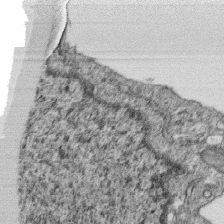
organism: African green monkey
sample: Vero E6 cells infected with SARS-CoV-2